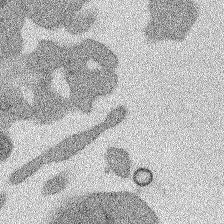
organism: Human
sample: HeLa cells